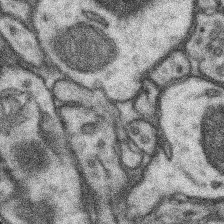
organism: Mouse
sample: Somatosensory cortex neuropil